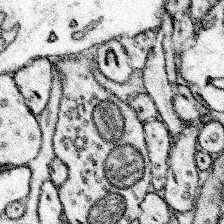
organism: Mouse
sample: Somatosensory cortex neuropil